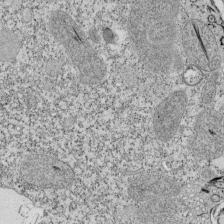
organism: Tetrahymena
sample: Cilia in tetrahymena